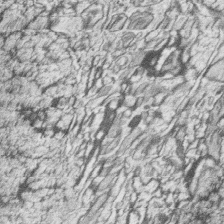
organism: Zebrafish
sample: synaptic ribbons in rod cells and cone cells